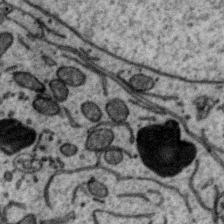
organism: Zebra finch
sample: Brain